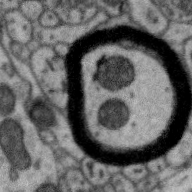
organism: Zebra finch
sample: Brain